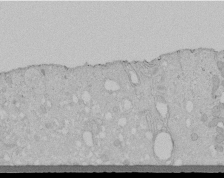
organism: Human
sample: Melanocyte Keratinocyte synapse skin construct